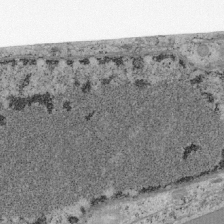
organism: Human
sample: HeLa cells